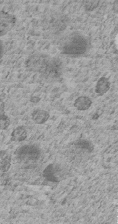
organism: C. elegans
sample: C. elegans embryo early stage